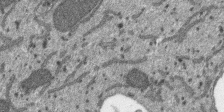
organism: Human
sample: Lung epithelial cells infected with SARS-CoV-2